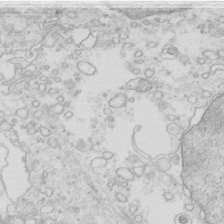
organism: Mouse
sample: Multiciliated cells